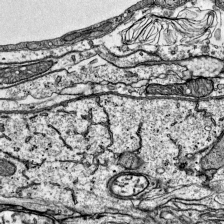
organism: Mouse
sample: Visual Cortex